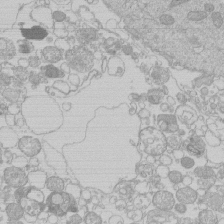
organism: Human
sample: Macrophage cells